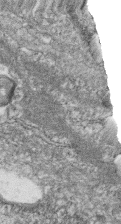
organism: Zebrafish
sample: Cilia; retinal pigment epithelium